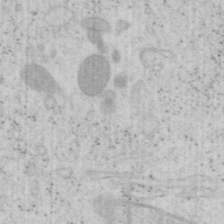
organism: Human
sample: HeLa cells